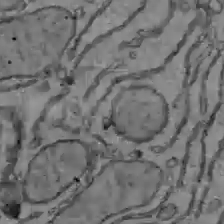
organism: C57BL Mouse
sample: Liver